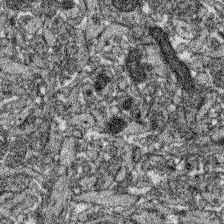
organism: Zebrafish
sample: Larval olfactory bulb